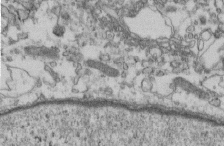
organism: Mouse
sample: Cilia; retinal pigment epithelium